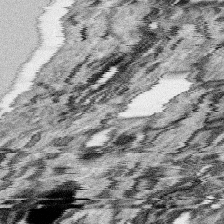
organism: Human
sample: HeLa cells